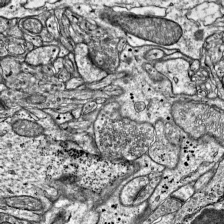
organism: Mouse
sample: Visual Cortex